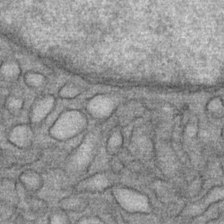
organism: Mouse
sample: Mouse Salivary gland